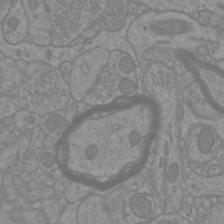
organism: Mouse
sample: Cortical neurons